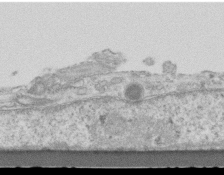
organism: Mouse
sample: Centriole in ependymal cells